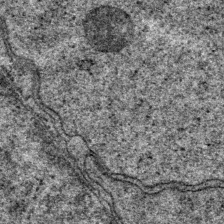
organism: P. pacificus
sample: Pharynx